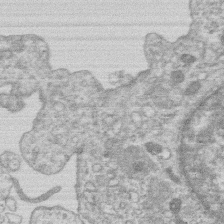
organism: Human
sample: Macrophage cells